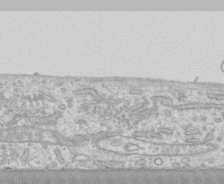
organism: Human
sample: CRL-1474